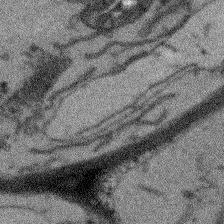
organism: Arabidopsis thaliana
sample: Root tip